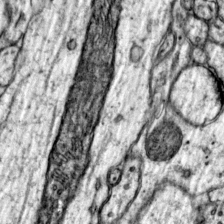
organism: Mouse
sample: Primary visual cortex